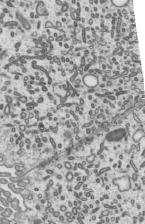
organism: Mouse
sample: Mouse epididymis efferent ductule cilia